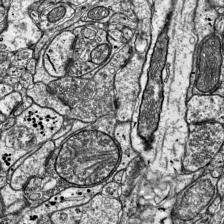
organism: Mouse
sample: Visual Cortex